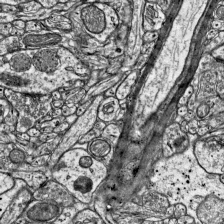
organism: Mouse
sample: Visual Cortex